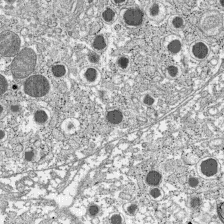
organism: C57BL Mouse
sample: Pancreatic islet